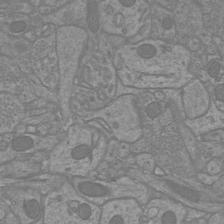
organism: Mouse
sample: Cortical neurons